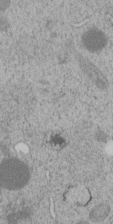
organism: C. elegans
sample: C. elegans embryo early stage